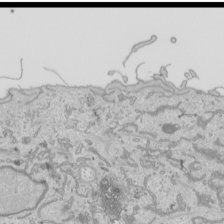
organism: Human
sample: Mitochondria in HCT116 cells